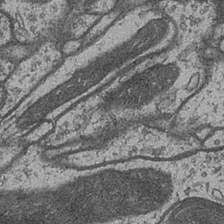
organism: Drosophila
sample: Optic medulla